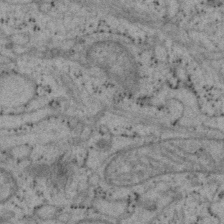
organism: Human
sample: HeLa cells